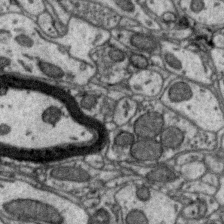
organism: Zebra finch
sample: Brain